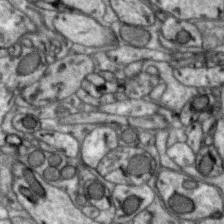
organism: Zebra finch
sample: Brain